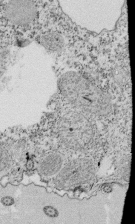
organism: Tetrahymena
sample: Cilia in tetrahymena